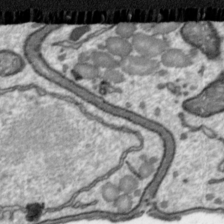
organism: Toxoplasma gondii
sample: Parasites in a vacuole inside a host cell